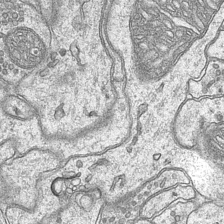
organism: Mouse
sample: CA1 Hippocampus